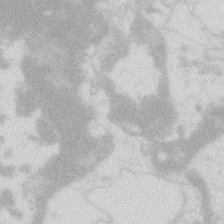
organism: Zebrafish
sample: Macrophage